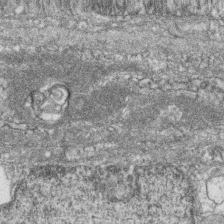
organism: Zebrafish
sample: Cilia; retinal pigment epithelium